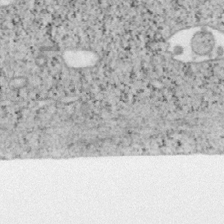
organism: Mouse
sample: OT-I killer T cells with ID8 ovarian cancer cells